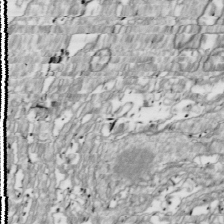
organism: Drosophila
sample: Cell division; meiosis; drosophila spermatocytes